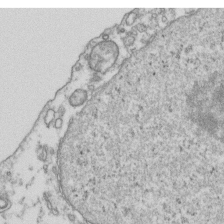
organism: Human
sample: Activated Jurkat CD4+ T cells